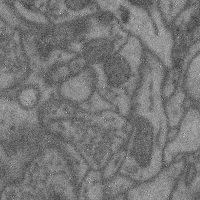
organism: Mouse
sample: Cerebral cortex